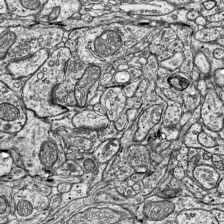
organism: Mouse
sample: Visual Cortex